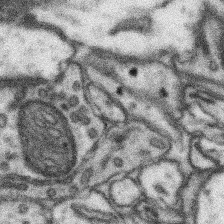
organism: Mouse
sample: Somatosensory cortex neuropil